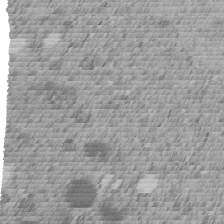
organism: C. elegans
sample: C. elegans embryo early stage